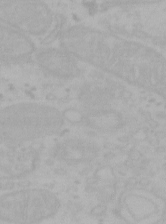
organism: Mouse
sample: Choroid plexus